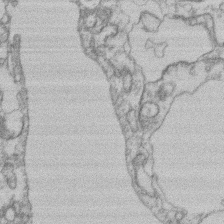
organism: Mouse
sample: T cell stromal cell synapse